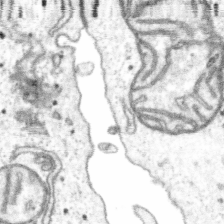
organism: Human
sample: HeLa cells